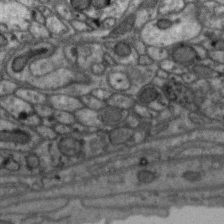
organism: Zebra finch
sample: Brain